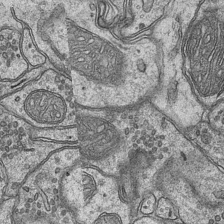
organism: Mouse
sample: CA1 Hippocampus